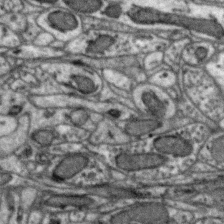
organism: Zebra finch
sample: Brain